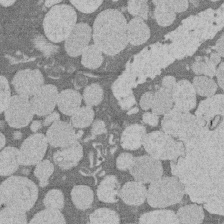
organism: Rat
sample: Salivary granule